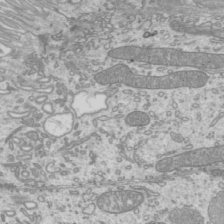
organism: Mouse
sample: Cilia; mouse epididymis